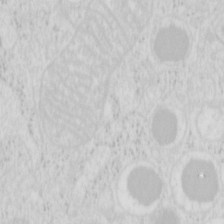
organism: Mouse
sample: Pancreas